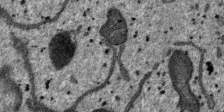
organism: Human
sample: Lung epithelial cells, uninfected (mock) control